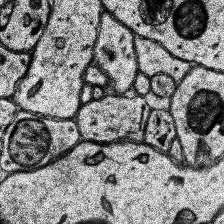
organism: Human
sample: Temporal Lobe